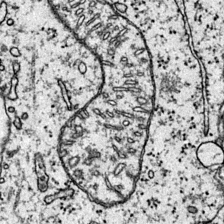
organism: Mouse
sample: Primary visual cortex